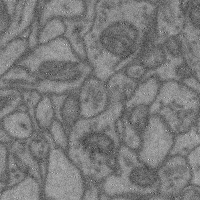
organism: Mouse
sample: Cerebral cortex